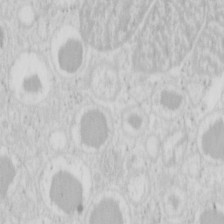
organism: Mouse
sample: Pancreas